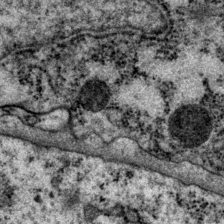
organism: P. pacificus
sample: Pharynx